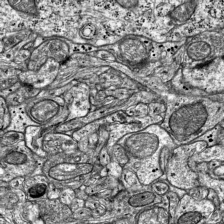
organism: Mouse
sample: Visual Cortex